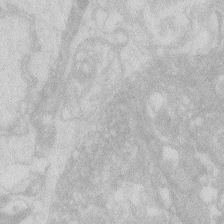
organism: Zebrafish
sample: Macrophage